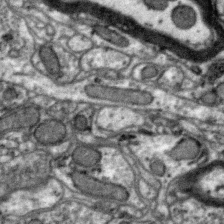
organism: Zebra finch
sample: Brain